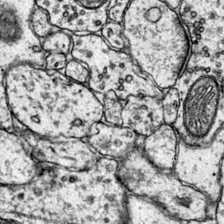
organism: Mouse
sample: Primary visual cortex